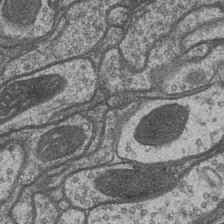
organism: Drosophila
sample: Optic medulla